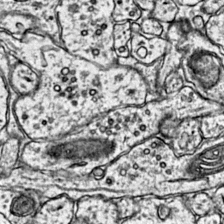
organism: Mouse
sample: Primary visual cortex